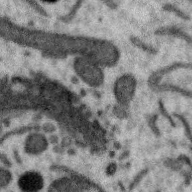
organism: Zebra finch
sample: Brain